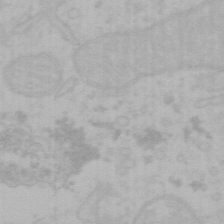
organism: Mouse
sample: Choroid plexus